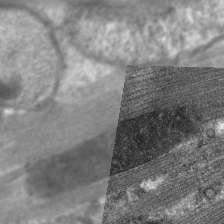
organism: C. elegans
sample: Pharynx